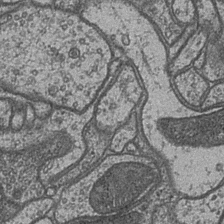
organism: Drosophila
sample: Optic medulla